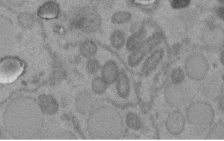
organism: C. elegans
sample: C. elegans embryo early stage